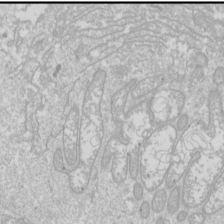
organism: Drosophila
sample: Cell division; meiosis; drosophila spermatocytes